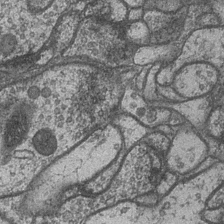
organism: Drosophila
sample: Optic medulla